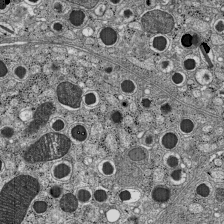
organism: C57BL Mouse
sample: Pancreatic islet